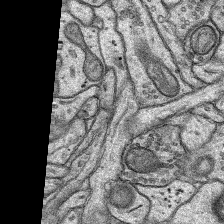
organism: Rat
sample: Hippocampus